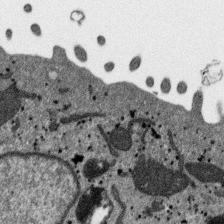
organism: Human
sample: Lung epithelial cells, uninfected (mock) control